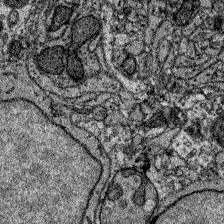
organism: Zebrafish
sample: Larval olfactory bulb